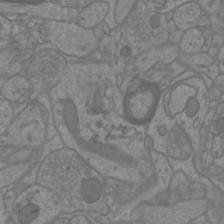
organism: Mouse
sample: Cortical neurons